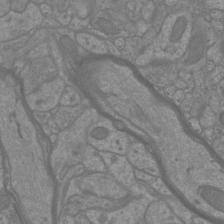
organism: Mouse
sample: Cortical neurons